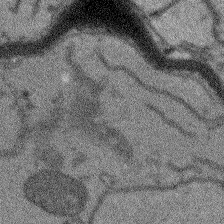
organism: Arabidopsis thaliana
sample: Root tip